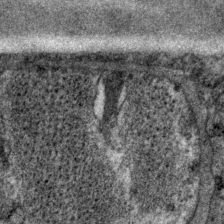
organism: P. pacificus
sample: Pharynx